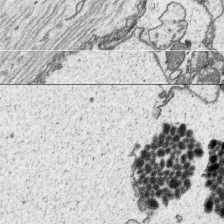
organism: Platynereis dumerilii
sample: Parapodia